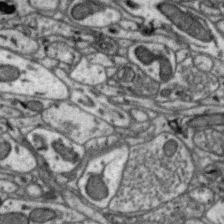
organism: Zebra finch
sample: Brain